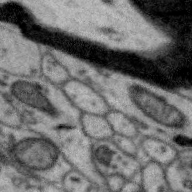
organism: Zebra finch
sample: Brain